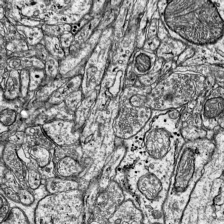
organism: Mouse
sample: Visual Cortex